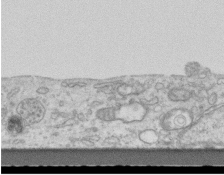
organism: Mouse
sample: Centriole in ependymal cells